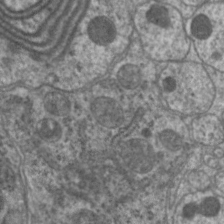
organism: C. elegans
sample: Pharynx